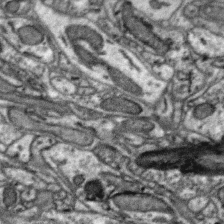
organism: Zebra finch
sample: Brain